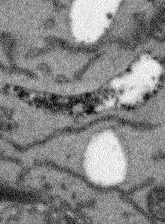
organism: Arabidopsis thaliana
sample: Root tip